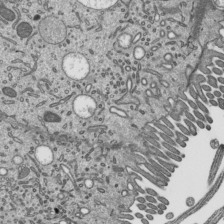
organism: Mouse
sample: Mouse epididymis efferent ductule cilia